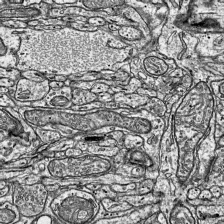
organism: Mouse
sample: Visual Cortex